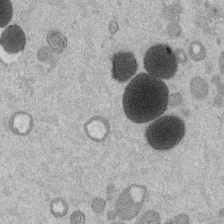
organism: Mouse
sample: Dividing mouse embryo 1 cell stage